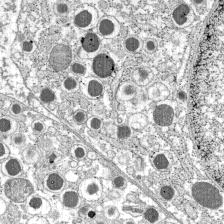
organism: C57BL Mouse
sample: Pancreatic islet